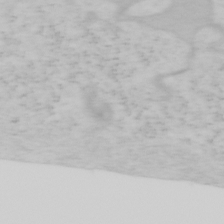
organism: Mouse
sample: OT-I killer T cells with ID8 ovarian cancer cells